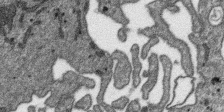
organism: Human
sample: Lung epithelial cells infected with SARS-CoV-2